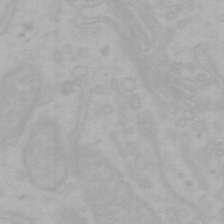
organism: Mouse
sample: Choroid plexus